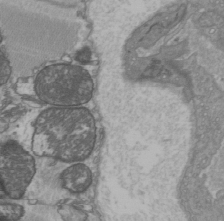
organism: C57BL Mouse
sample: Heart